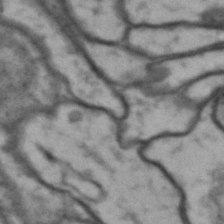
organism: Drosophila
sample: Brain